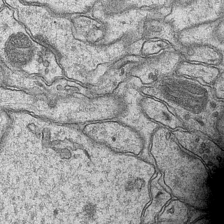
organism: Mouse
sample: CA1 Hippocampus